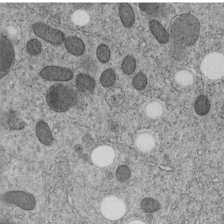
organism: C. elegans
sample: C. elegans embryo early stage